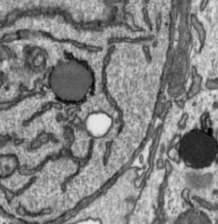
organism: Toxoplasma gondii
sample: Parasites in a vacuole inside a host cell